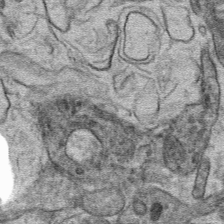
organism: Mouse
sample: Mouse hepatocytes